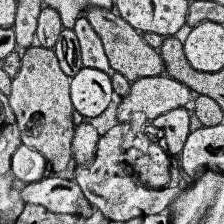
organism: Human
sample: Temporal Lobe